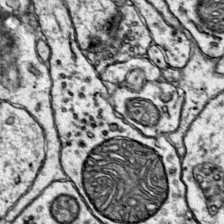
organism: Mouse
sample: Primary visual cortex